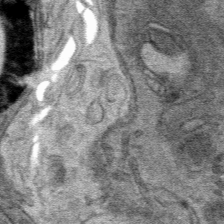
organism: Mouse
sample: Mouse hepatocytes